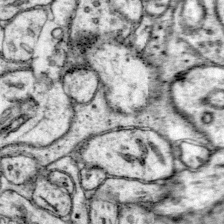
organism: Mouse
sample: Primary visual cortex